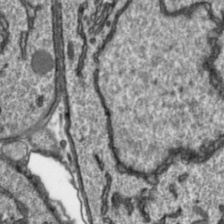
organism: Toxoplasma gondii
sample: Parasites in a vacuole inside a host cell